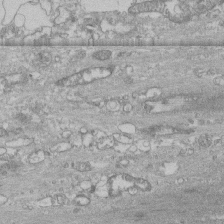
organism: Human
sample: CRL-1474